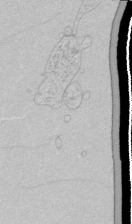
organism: Human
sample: Mitochondria in HCT116 cells